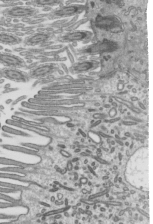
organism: Mouse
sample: Mouse epididymis efferent ductule cilia